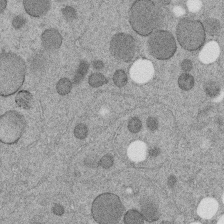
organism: C. elegans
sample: C. elegans embryo early stage